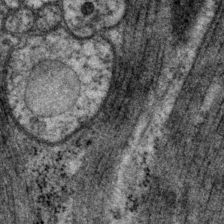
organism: P. pacificus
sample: Pharynx